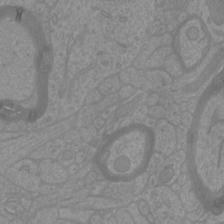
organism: Mouse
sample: Cortical neurons